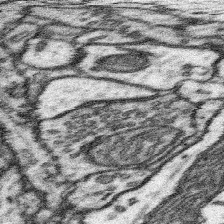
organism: Mouse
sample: Somatosensory cortex neuropil